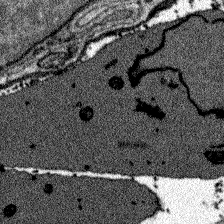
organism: Zebrafish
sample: Larval olfactory bulb